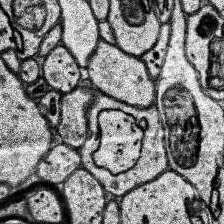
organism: Human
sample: Temporal Lobe